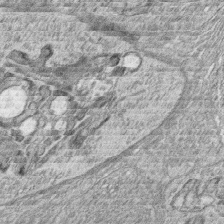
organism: Zebrafish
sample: synaptic ribbons in rod cells and cone cells